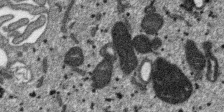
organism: Human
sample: Lung epithelial cells infected with SARS-CoV-2